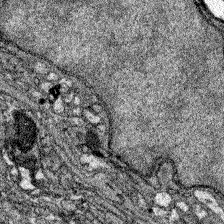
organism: Zebrafish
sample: Larval olfactory bulb